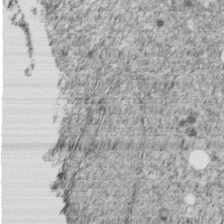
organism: C. elegans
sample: C. elegans embryo early stage